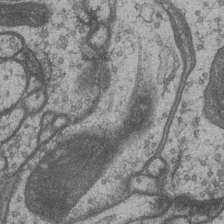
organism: Drosophila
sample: Optic medulla